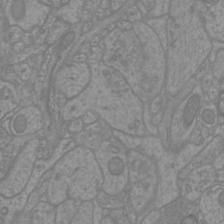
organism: Mouse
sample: Cortical neurons